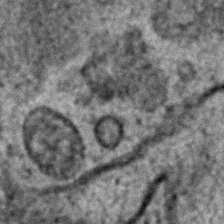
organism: C. elegans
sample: C. elegans embryo